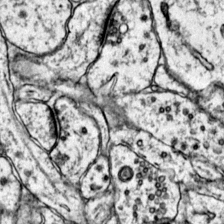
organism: Mouse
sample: Primary visual cortex